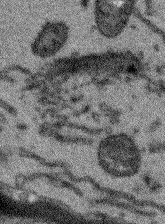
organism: Arabidopsis thaliana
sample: Root tip